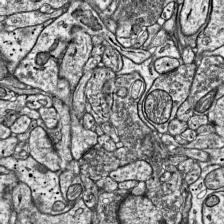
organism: Mouse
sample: Visual Cortex